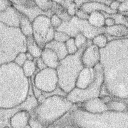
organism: Rabbit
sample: Retina